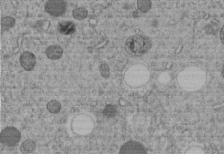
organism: C. elegans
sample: C. elegans embryo early stage